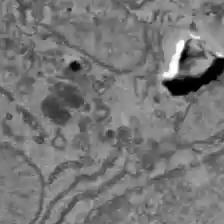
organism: C57BL Mouse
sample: Liver